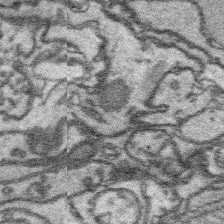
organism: Platynereis dumerilii